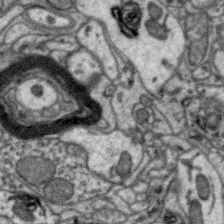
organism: Zebra finch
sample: Brain